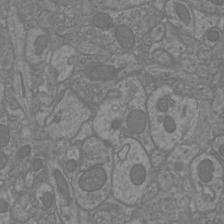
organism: Mouse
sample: Cortical neurons